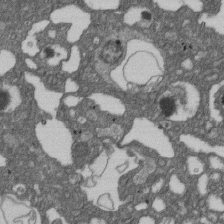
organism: Drosophila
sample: Nephrocyte